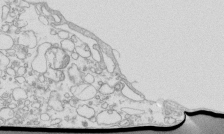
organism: Mouse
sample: Macrophages